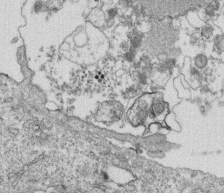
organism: Human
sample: HeLa cell HIV synapse